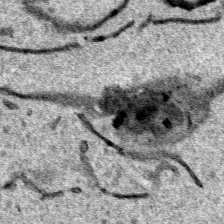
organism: Human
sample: Mitochondria in HCT116 cells